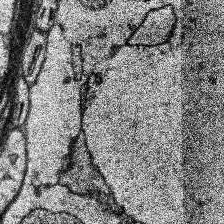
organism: Human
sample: Temporal Lobe